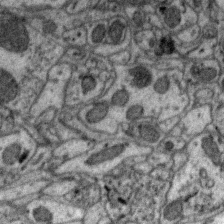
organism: Zebra finch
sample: Brain